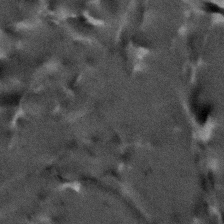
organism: Human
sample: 1205lu cells